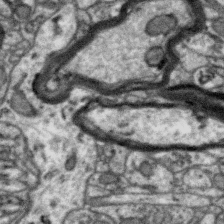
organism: Zebra finch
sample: Brain